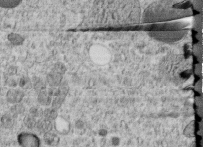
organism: C. elegans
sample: C. elegans embryo early stage